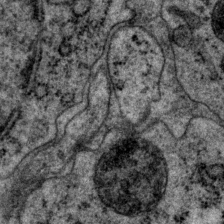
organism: P. pacificus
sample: Pharynx